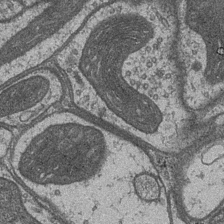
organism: Drosophila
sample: Optic medulla